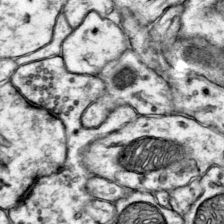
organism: Mouse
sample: Primary visual cortex